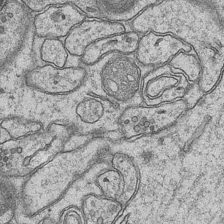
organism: Mouse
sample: CA1 Hippocampus